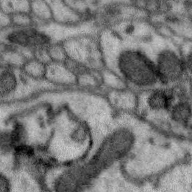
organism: Zebra finch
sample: Brain